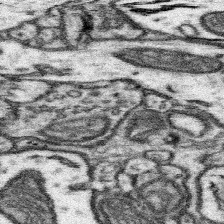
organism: Mouse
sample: Somatosensory cortex neuropil